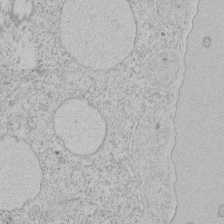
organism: Tetrahymena